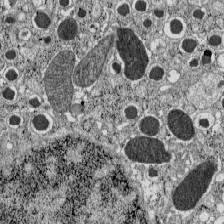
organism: C57BL Mouse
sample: Pancreatic islet